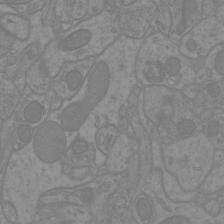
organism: Mouse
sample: Cortical neurons